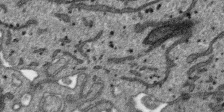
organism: Human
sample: Lung epithelial cells, uninfected (mock) control